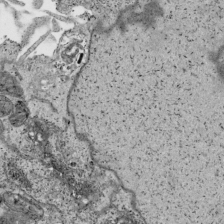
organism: Human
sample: Mitochondria in HCT116 cells